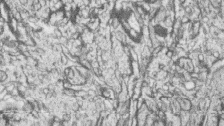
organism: Zebrafish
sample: synaptic ribbons in rod cells and cone cells